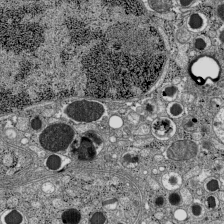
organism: C57BL Mouse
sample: Pancreatic islet